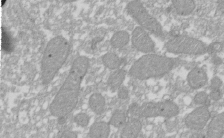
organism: Xenopus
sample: Cilia; centrioles in frog embryo cells